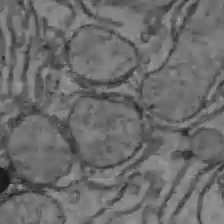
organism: C57BL Mouse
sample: Liver